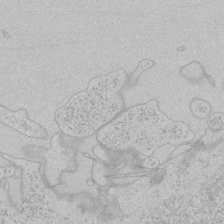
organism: Human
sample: Mitochondria in HCT116 cells